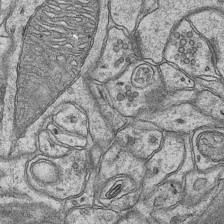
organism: Mouse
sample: CA1 Hippocampus